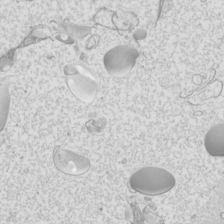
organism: Mouse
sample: Cilia; mouse epididymis